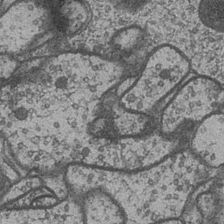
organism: Drosophila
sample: Optic medulla